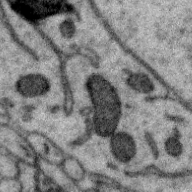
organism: Zebra finch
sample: Brain